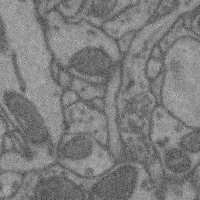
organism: Mouse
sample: Cerebral cortex